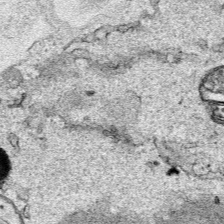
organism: Human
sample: Mitochondria in HCT116 cells